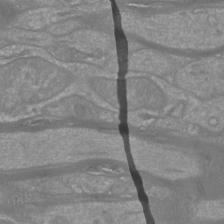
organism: Mouse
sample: Cortical neurons